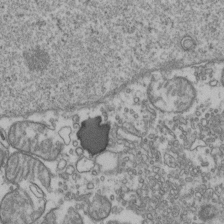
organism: Human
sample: Activated Jurkat CD4+ T cells